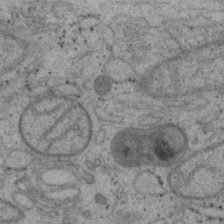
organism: Human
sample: HeLa cells